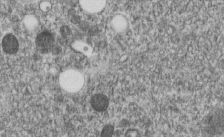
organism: C. elegans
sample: C. elegans embryo early stage